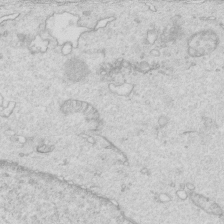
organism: Mouse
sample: Multiciliated cells